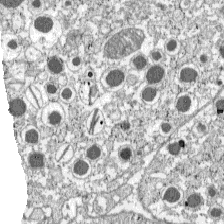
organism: C57BL Mouse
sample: Pancreatic islet